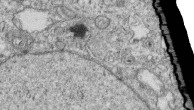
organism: Human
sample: HeLa cell HIV synapse